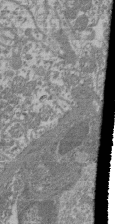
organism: Mouse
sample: Glomerulus